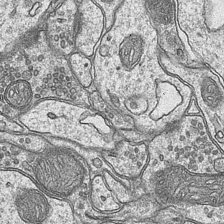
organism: Mouse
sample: CA1 Hippocampus